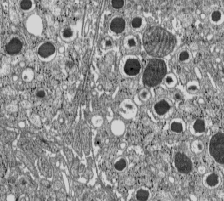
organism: C57BL Mouse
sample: Pancreatic islet